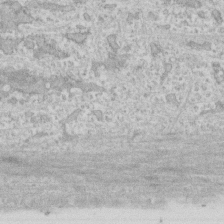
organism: Human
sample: CRL-1474